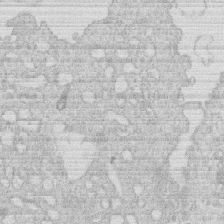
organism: Human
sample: Macrophage cells